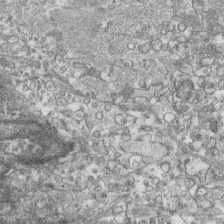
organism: Human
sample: CRL-1474